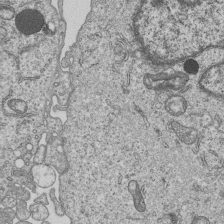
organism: Human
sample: MDA-MB-231 cells